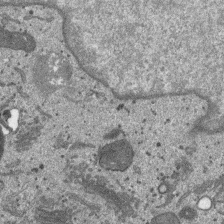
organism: Human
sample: Lung epithelial cells infected with SARS-CoV-2